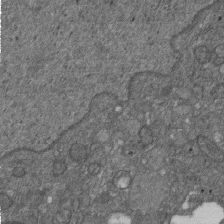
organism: Drosophila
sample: Nephrocyte